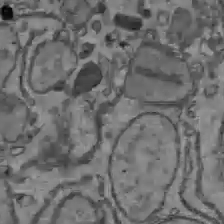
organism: C57BL Mouse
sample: Liver